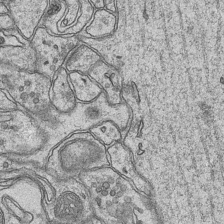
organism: Mouse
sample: CA1 Hippocampus